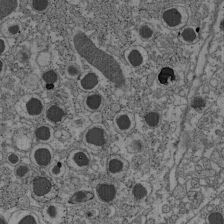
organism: C57BL Mouse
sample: Pancreatic islet